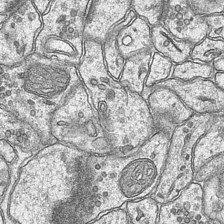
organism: Mouse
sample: CA1 Hippocampus